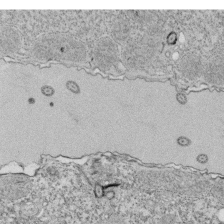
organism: Tetrahymena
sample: Cilia in tetrahymena